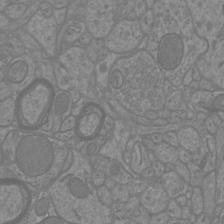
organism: Mouse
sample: Cortical neurons